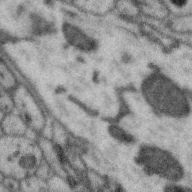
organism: Zebra finch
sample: Brain